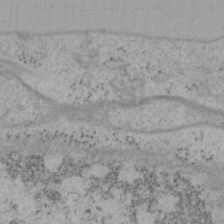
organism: Human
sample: HeLa cells